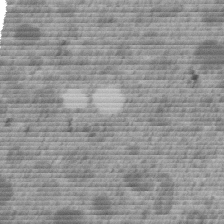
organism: C. elegans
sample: C. elegans embryo early stage